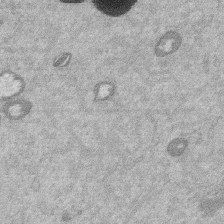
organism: Mouse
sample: Dividing mouse embryo 1 cell stage